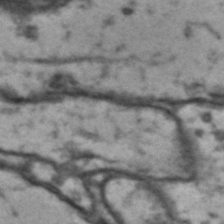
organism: Drosophila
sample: Brain